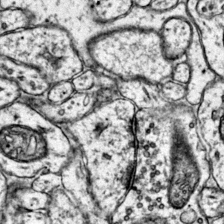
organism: Mouse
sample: Primary visual cortex